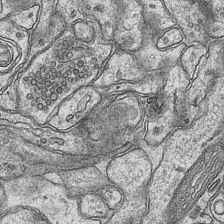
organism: Mouse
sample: CA1 Hippocampus